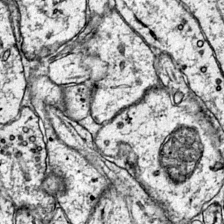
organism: Mouse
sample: Primary visual cortex